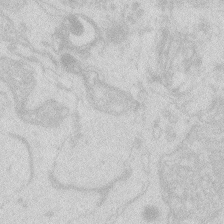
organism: Zebrafish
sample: Macrophage